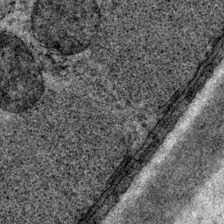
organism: P. pacificus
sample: Pharynx